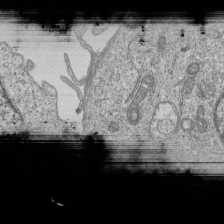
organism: Human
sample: MDA-MB-231 cells